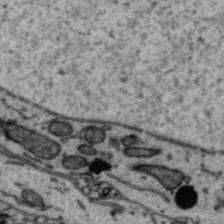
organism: Zebra finch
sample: Brain